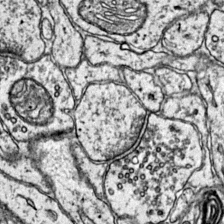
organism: Mouse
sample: Primary visual cortex